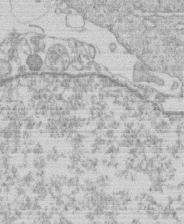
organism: Human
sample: Macrophage cells